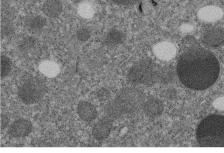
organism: C. elegans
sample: C. elegans embryo early stage